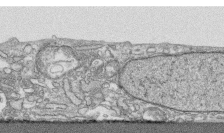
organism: Human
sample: CRL-1474